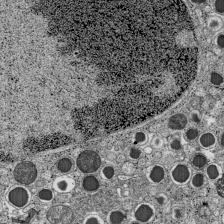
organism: C57BL Mouse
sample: Pancreatic islet